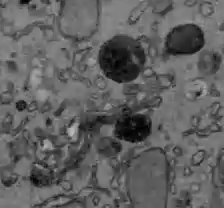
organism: C57BL Mouse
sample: Liver